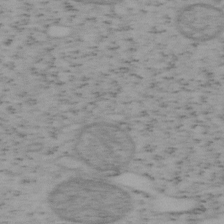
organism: Mouse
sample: OT-I killer T cells with ID8 ovarian cancer cells